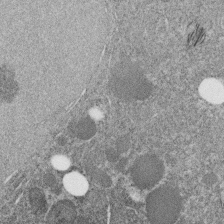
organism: C. elegans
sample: C. elegans embryo early stage